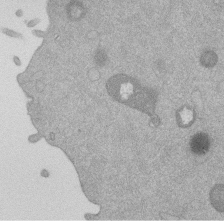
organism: Mouse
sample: Dividing mouse embryo 1 cell stage